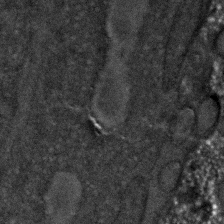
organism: C. elegans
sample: C. elegans embryo